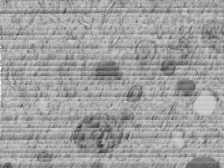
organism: C. elegans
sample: C. elegans embryo early stage